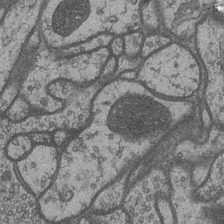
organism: Drosophila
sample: Optic medulla